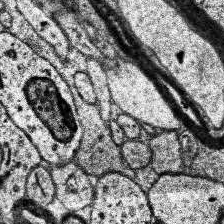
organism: Human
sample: Temporal Lobe